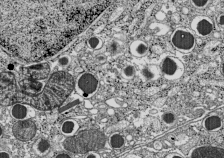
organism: C57BL Mouse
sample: Pancreatic islet